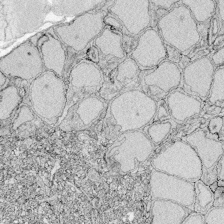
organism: Zebrafish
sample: Whole-Brain